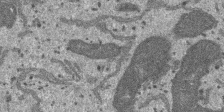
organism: Human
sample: Lung epithelial cells infected with SARS-CoV-2